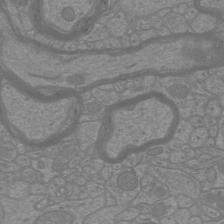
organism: Mouse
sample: Cortical neurons